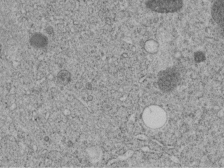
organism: C. elegans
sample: C. elegans embryo early stage